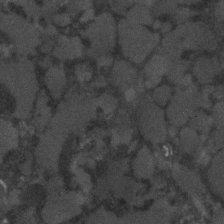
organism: C. elegans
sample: C. elegans embryo